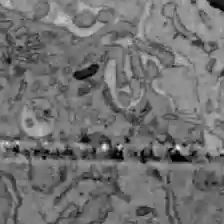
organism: C57BL Mouse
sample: Liver